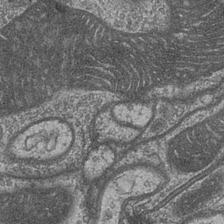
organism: Drosophila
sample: Optic medulla